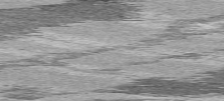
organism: C57BL Mouse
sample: Heart